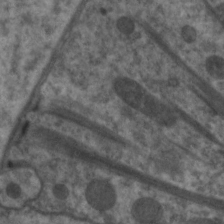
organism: C. elegans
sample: Pharynx